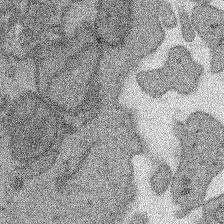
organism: Human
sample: HeLa cells